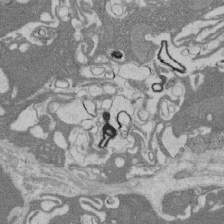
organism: Rat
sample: Salivary granule